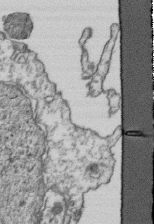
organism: Human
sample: Activated Jurkat CD4+ T cells